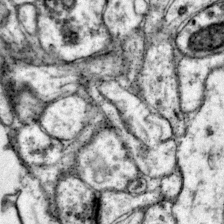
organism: Mouse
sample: Primary visual cortex